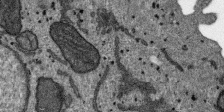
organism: Human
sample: Lung epithelial cells, uninfected (mock) control